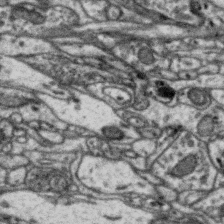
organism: Zebra finch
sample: Brain